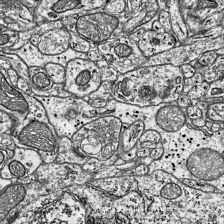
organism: Mouse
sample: Visual Cortex